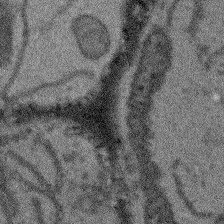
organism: Arabidopsis thaliana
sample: Root tip